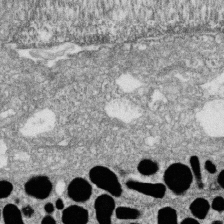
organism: Zebrafish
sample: Cilia; retinal pigment epithelium